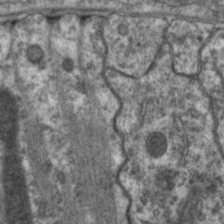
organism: C. elegans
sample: Pharynx